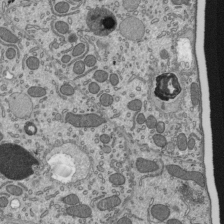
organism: Mouse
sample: Mouse epididymis efferent ductule cilia